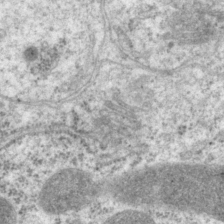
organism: P. pacificus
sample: Pharynx